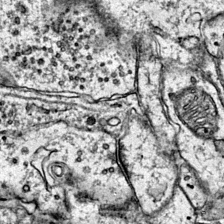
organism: Mouse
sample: Primary visual cortex